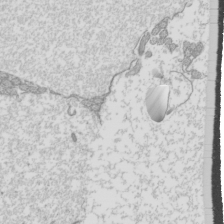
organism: Mouse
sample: Cilia; mouse epididymis